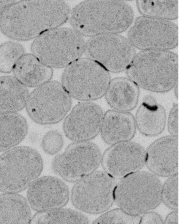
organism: E. coli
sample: Bacterial nucleoid